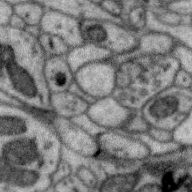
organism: Zebra finch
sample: Brain